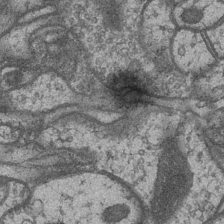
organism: Drosophila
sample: Optic medulla